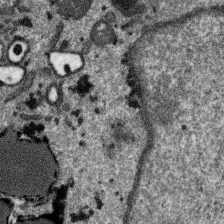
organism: Human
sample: Lung epithelial cells infected with SARS-CoV-2